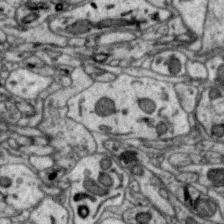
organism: Zebra finch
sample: Brain